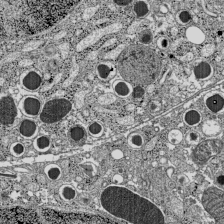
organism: C57BL Mouse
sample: Pancreatic islet